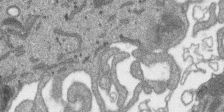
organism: Human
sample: Lung epithelial cells infected with SARS-CoV-2